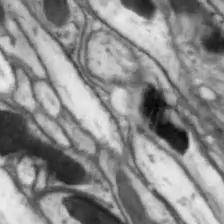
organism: Drosophila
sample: Optic lobe